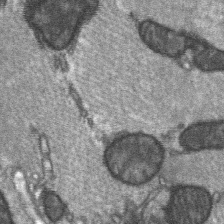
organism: C57BL Mouse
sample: Soleus